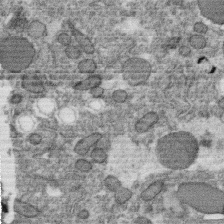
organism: C. elegans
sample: C. elegans oocyte; sperm cells